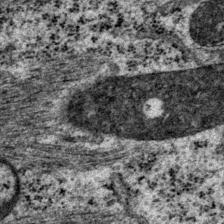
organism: P. pacificus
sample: Pharynx